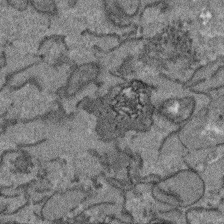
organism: Arabidopsis thaliana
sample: Root tip